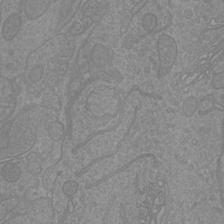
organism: Mouse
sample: Cortical neurons